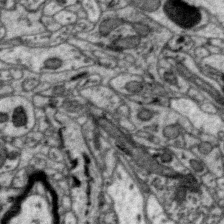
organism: Zebra finch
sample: Brain